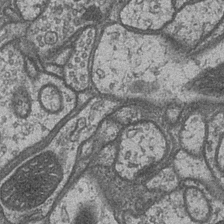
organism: Drosophila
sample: Optic medulla